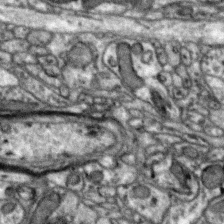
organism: Zebra finch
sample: Brain